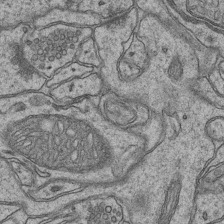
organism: Mouse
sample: CA1 Hippocampus